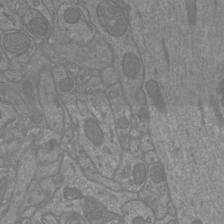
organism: Mouse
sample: Cortical neurons